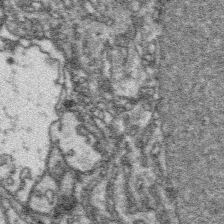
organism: Platynereis dumerilii